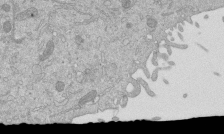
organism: Mouse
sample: ED-1 cell nuclei; centrioles